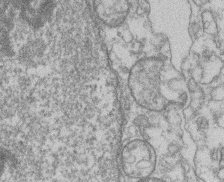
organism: Mouse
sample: T cell stromal cell synapse